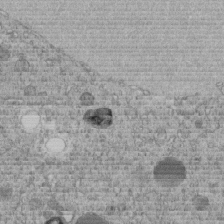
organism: C. elegans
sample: C. elegans embryo early stage